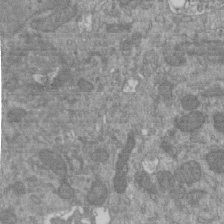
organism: Mouse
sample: ED-1 cell nuclei; centrioles